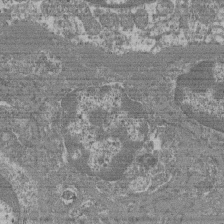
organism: Mouse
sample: Glomerulus